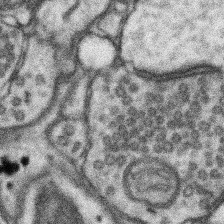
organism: Mouse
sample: Somatosensory cortex neuropil